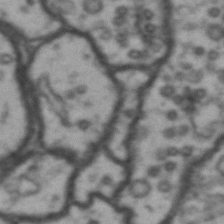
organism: Drosophila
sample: Brain